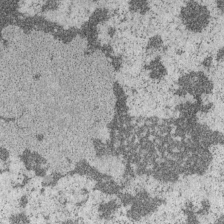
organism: Mouse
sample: OT-I killer T cells with ID8 ovarian cancer cells